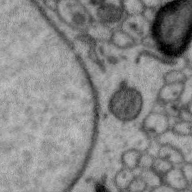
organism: Zebra finch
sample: Brain